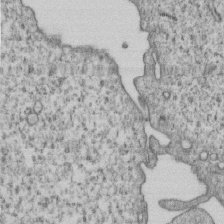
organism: Human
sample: MDA-MB-231 cells